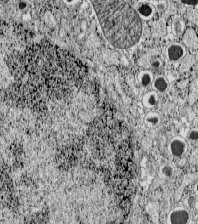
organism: C57BL Mouse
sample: Pancreatic islet